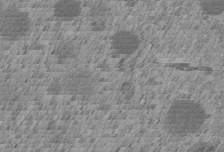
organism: C. elegans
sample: C. elegans embryo early stage